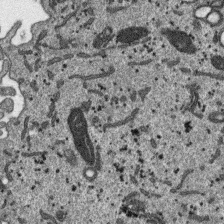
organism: Human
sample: Lung epithelial cells infected with SARS-CoV-2